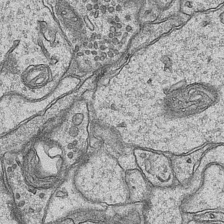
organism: Mouse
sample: CA1 Hippocampus